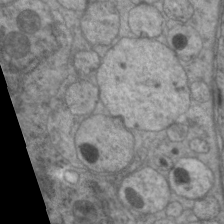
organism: C. elegans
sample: Pharynx